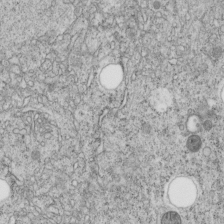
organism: C. elegans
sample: C. elegans embryo early stage